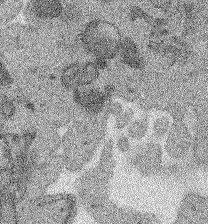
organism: Human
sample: HeLa cells